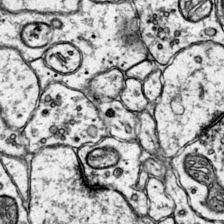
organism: Mouse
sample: Primary visual cortex